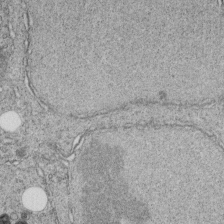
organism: C. elegans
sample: C. elegans embryo early stage